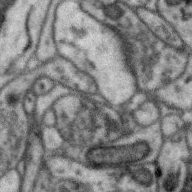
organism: Zebra finch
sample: Brain